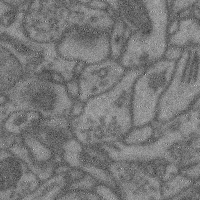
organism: Mouse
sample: Cerebral cortex